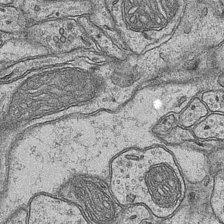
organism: Mouse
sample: CA1 Hippocampus